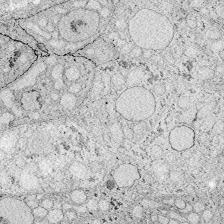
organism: Zebrafish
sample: Whole-Brain